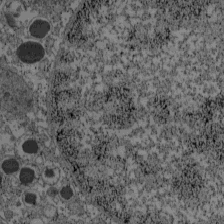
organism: C57BL Mouse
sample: Pancreatic islet